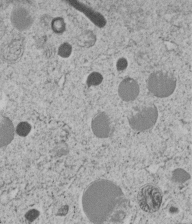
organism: C. elegans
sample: C. elegans embryo early stage